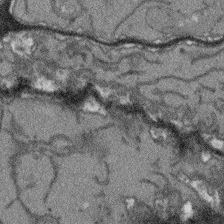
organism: Arabidopsis thaliana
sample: Root tip